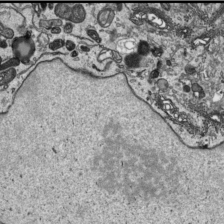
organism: Human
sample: Mitochondria in HCT116 cells